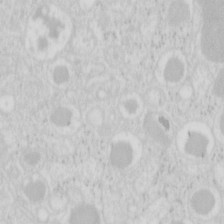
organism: Mouse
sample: Pancreas